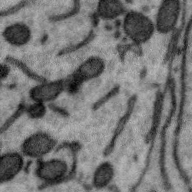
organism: Zebra finch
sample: Brain